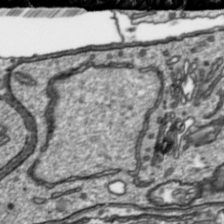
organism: Toxoplasma gondii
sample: Parasites in a vacuole inside a host cell